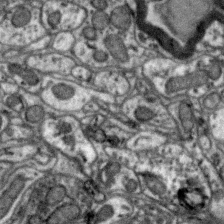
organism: Zebra finch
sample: Brain